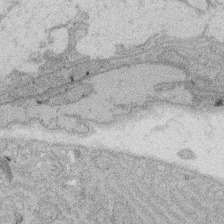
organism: Rat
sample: Salivary granule